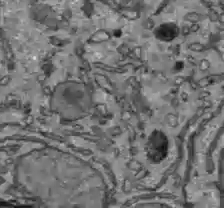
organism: C57BL Mouse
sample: Liver